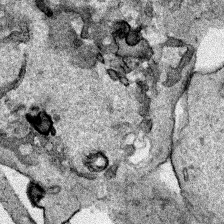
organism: Human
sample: Mitochondria in HCT116 cells